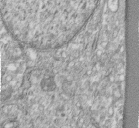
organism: Human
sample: Centriole in fibroblast cells